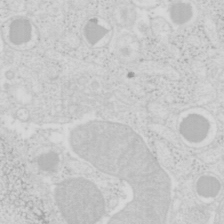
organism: Mouse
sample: Pancreas